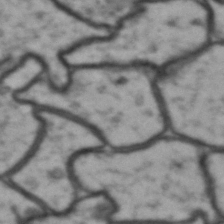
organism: Drosophila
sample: Brain